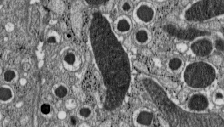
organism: C57BL Mouse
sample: Pancreatic islet